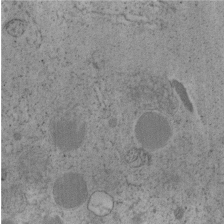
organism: C. elegans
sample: C. elegans embryo early stage